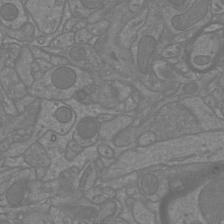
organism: Mouse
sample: Cortical neurons